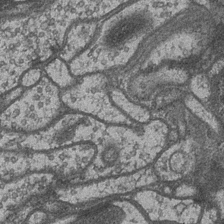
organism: Drosophila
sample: Optic medulla